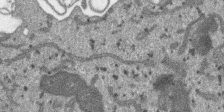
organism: Human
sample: Lung epithelial cells infected with SARS-CoV-2